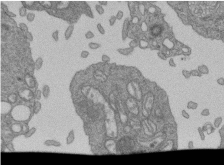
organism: Human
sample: Retinal organoid Rod and Cone cells